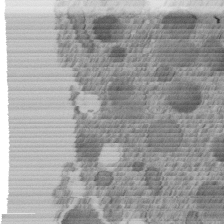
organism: C. elegans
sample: C. elegans embryo early stage